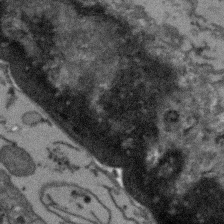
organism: Arabidopsis thaliana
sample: Root tip